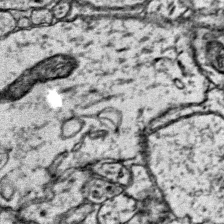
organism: Mouse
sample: Primary visual cortex